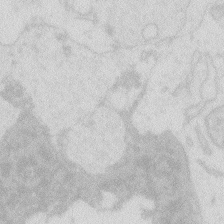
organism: Zebrafish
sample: Macrophage